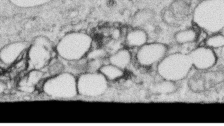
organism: Human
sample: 1205lu cells